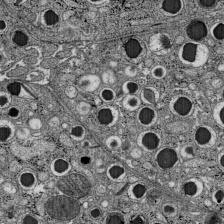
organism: C57BL Mouse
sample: Pancreatic islet